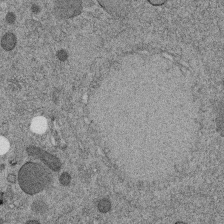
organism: C. elegans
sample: C. elegans embryo early stage